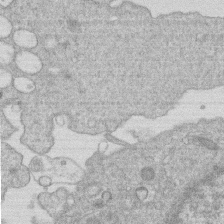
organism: Human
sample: Macrophage cells